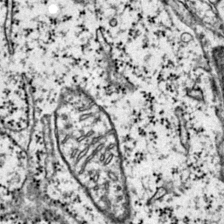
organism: Mouse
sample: Primary visual cortex